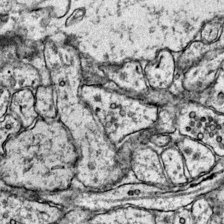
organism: Mouse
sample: Primary visual cortex